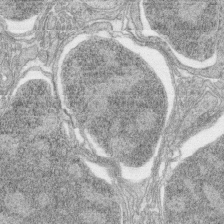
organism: Zebrafish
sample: synaptic ribbons in rod cells and cone cells